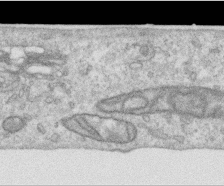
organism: Human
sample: Centriole in RPE cells